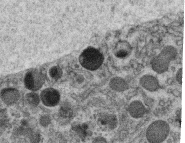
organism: C. elegans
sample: C. elegans oocyte; sperm cells